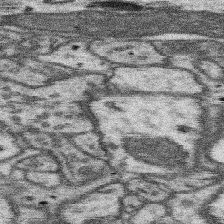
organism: Mouse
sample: Somatosensory cortex neuropil